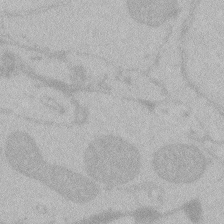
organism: Zebrafish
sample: Macrophage infected with Toxoplasma gondii